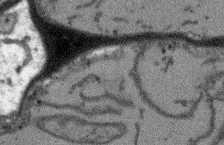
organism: Arabidopsis thaliana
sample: Root tip